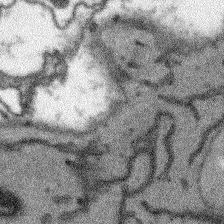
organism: Arabidopsis thaliana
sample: Root tip